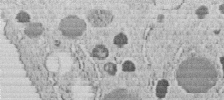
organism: C. elegans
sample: C. elegans embryo early stage